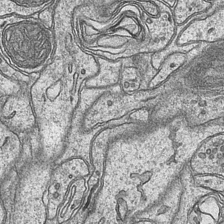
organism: Mouse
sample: CA1 Hippocampus